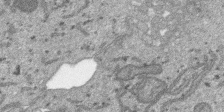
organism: Human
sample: Lung epithelial cells infected with SARS-CoV-2